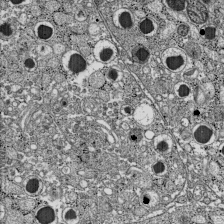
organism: C57BL Mouse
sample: Pancreatic islet